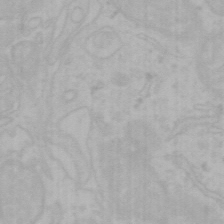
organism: Mouse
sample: Choroid plexus